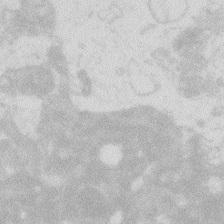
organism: Zebrafish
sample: Macrophage